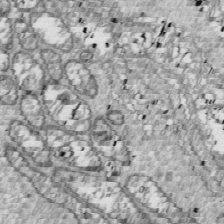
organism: Drosophila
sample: Cell division; meiosis; drosophila spermatocytes